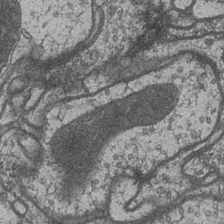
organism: Drosophila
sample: Optic medulla